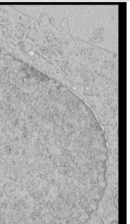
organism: Human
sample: Mitochondria in HCT116 cells